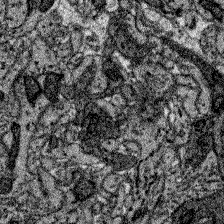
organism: Zebrafish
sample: Larval olfactory bulb